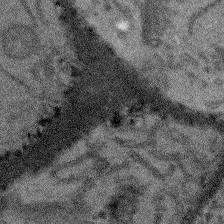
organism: Arabidopsis thaliana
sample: Root tip